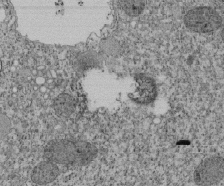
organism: Tetrahymena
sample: Cilia in tetrahymena